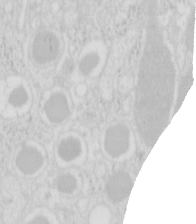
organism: Mouse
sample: Pancreas